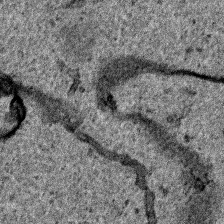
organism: Human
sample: Mitochondria in HCT116 cells